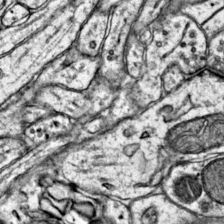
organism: Mouse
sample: Primary visual cortex